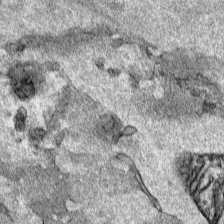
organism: Human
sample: Mitochondria in HCT116 cells